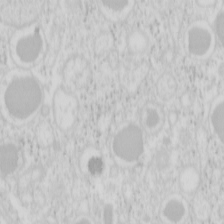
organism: Mouse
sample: Pancreas